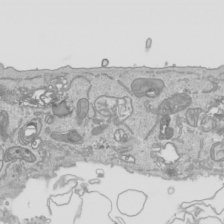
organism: Human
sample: Mitochondria in HCT116 cells